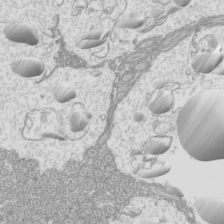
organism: Mouse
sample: Cilia; mouse epididymis